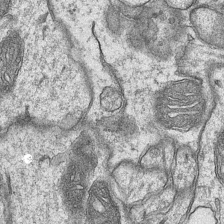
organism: Mouse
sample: CA1 Hippocampus